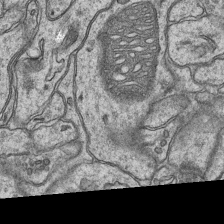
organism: Mouse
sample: CA1 Hippocampus